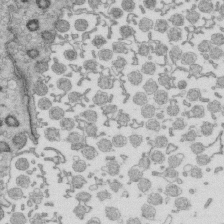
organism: Mouse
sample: Multiciliated cells